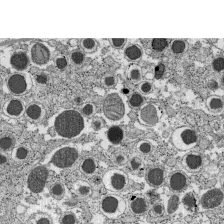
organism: C57BL Mouse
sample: Pancreatic islet